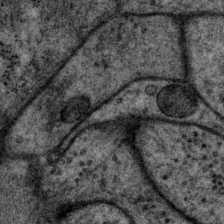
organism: P. pacificus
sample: Pharynx